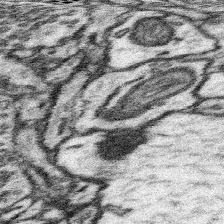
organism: Mouse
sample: Somatosensory cortex neuropil